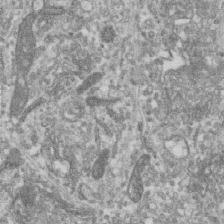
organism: Human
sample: Centriole in RPE cells